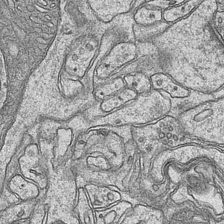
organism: Mouse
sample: CA1 Hippocampus